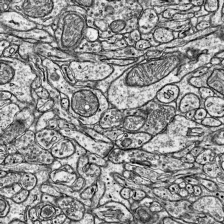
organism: Mouse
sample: Visual Cortex